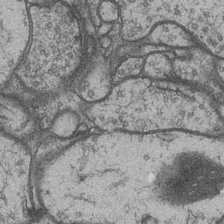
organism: Drosophila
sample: Optic medulla